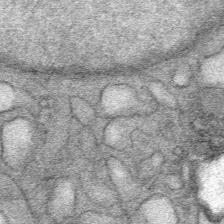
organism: Mouse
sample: Mouse Salivary gland